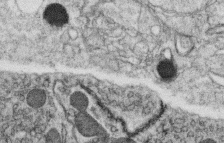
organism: C. elegans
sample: C. elegans oocyte; sperm cells